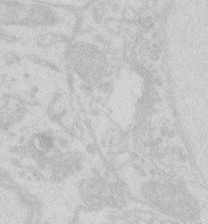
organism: Zebrafish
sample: Macrophage